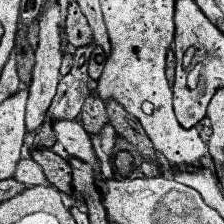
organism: Human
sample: Temporal Lobe